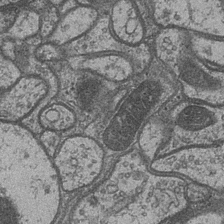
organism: Drosophila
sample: Optic medulla